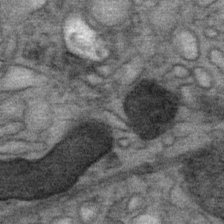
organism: Mouse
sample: Mouse Salivary gland